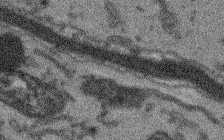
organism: Arabidopsis thaliana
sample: Root tip